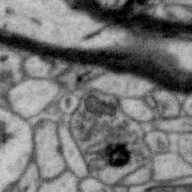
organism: Zebra finch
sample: Brain